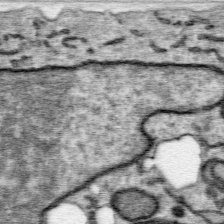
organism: Human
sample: HeLa cells